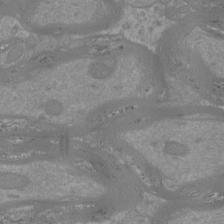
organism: Mouse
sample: Cortical neurons